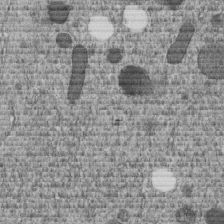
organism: C. elegans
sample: C. elegans embryo early stage